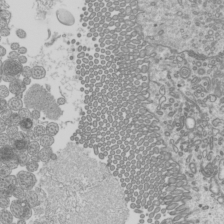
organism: Mouse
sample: Cilia; mouse epididymis